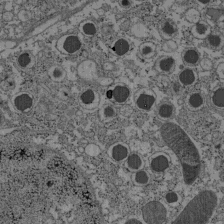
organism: C57BL Mouse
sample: Pancreatic islet